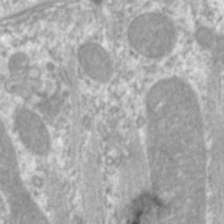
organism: C. elegans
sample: Pharynx